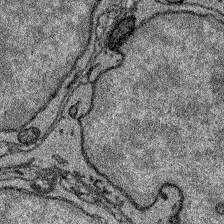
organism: Zebrafish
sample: Larval olfactory bulb